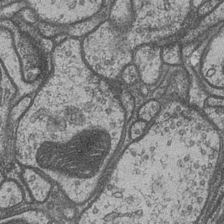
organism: Drosophila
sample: Optic medulla